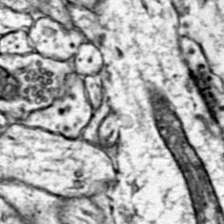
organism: Mouse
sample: Primary visual cortex